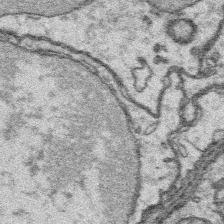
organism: Platynereis dumerilii